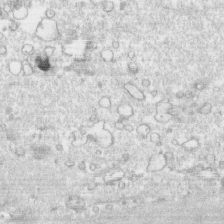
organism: Human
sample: CRL-1474